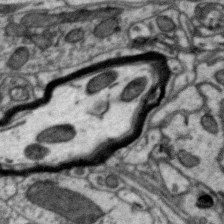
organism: Zebra finch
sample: Brain